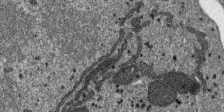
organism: Human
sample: Lung epithelial cells infected with SARS-CoV-2